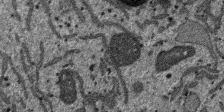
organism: Human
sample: Lung epithelial cells infected with SARS-CoV-2